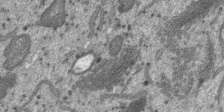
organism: Human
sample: Lung epithelial cells infected with SARS-CoV-2